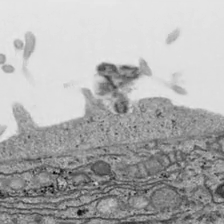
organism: Human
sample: HeLa cells